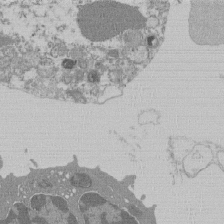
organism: Mouse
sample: Activated Pmel transgenic CD8+ T Cells